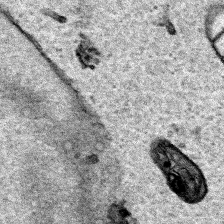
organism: Human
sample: Mitochondria in HCT116 cells